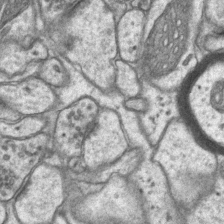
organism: Mouse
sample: CA1 Hippocampus